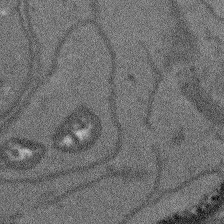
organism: Arabidopsis thaliana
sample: Root tip